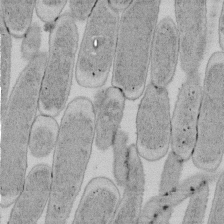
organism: E. coli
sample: Bacterial nucleoid